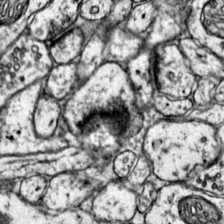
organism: Mouse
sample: Primary visual cortex